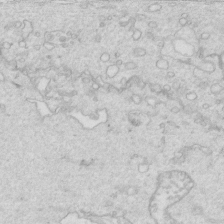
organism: Mouse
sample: Multiciliated cells